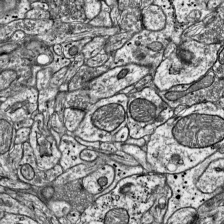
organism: Mouse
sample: Visual Cortex